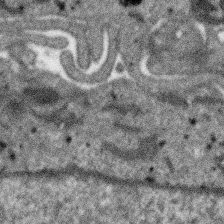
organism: Human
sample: Lung epithelial cells infected with SARS-CoV-2